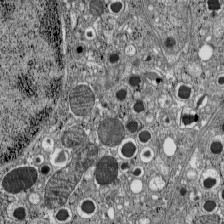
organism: C57BL Mouse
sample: Pancreatic islet